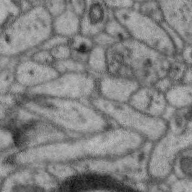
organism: Zebra finch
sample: Brain